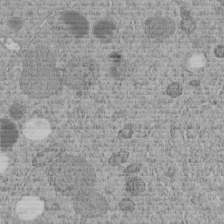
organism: C. elegans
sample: C. elegans embryo early stage